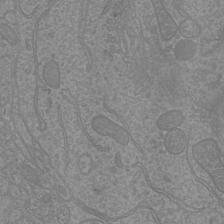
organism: Mouse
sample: Cortical neurons